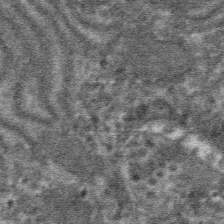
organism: Mouse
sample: Mouse hepatocytes